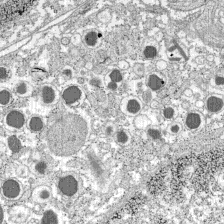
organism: C57BL Mouse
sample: Pancreatic islet